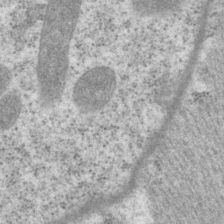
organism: P. pacificus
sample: Pharynx